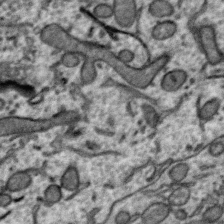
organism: Zebra finch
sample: Brain